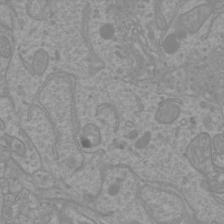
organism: Mouse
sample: Cortical neurons